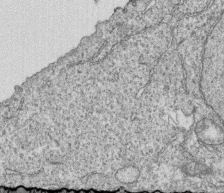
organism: Human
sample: HeLa cell HIV synapse